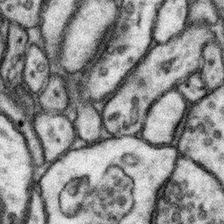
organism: Mouse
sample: Somatosensory cortex neuropil